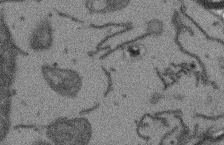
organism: Arabidopsis thaliana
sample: Root tip